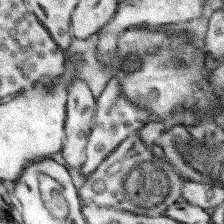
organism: Mouse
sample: Somatosensory cortex neuropil